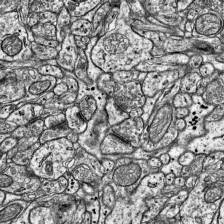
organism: Mouse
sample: Visual Cortex